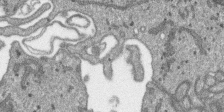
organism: Human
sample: Lung epithelial cells infected with SARS-CoV-2